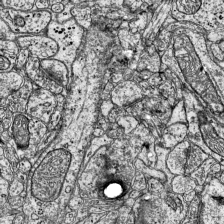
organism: Mouse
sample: Visual Cortex